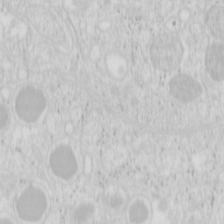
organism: Mouse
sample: Pancreas